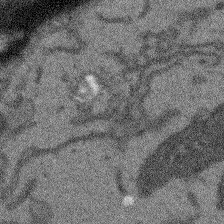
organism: Arabidopsis thaliana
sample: Root tip